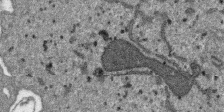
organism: Human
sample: Lung epithelial cells infected with SARS-CoV-2